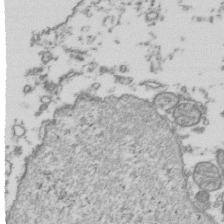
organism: Human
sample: Activated Jurkat CD4+ T cells